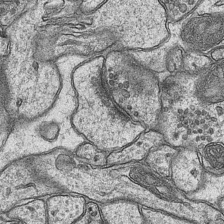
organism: Mouse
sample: CA1 Hippocampus